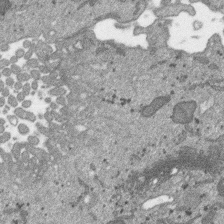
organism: Human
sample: Lung epithelial cells infected with SARS-CoV-2